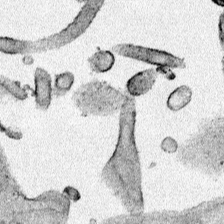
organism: Human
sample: Mitochondria in HCT116 cells